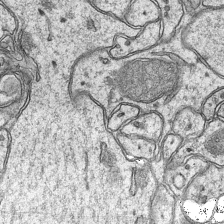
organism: Mouse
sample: CA1 Hippocampus